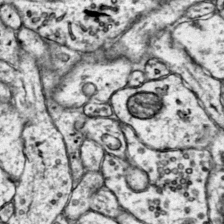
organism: Mouse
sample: Primary visual cortex